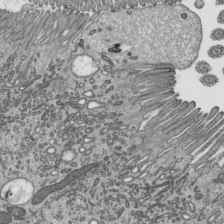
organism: Mouse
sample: Mouse epididymis efferent ductule cilia